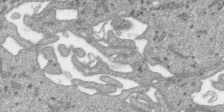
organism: Human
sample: Lung epithelial cells infected with SARS-CoV-2